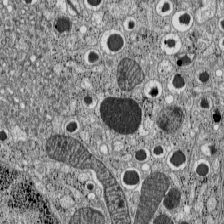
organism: C57BL Mouse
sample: Pancreatic islet